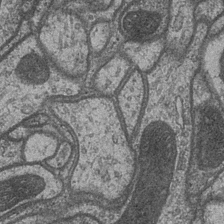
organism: Drosophila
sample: Optic medulla